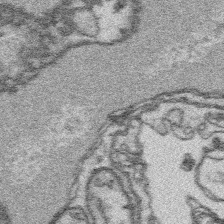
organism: Platynereis dumerilii